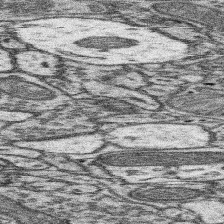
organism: Mouse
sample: Somatosensory cortex neuropil